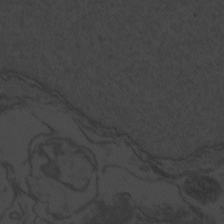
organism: Zebrafish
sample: Macrophage infected with Toxoplasma gondii